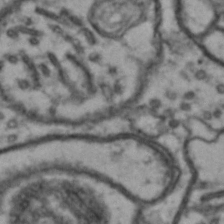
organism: Drosophila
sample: Brain